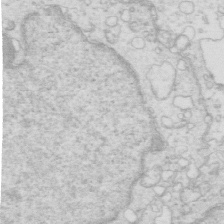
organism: Mouse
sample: Multiciliated cells